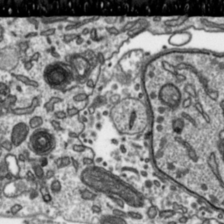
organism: Toxoplasma gondii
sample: Parasites in a vacuole inside a host cell